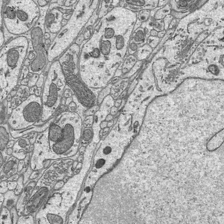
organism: Mouse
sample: Suprachiasmatic nucleus